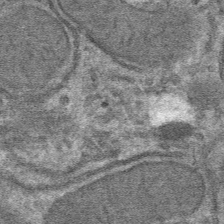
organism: Mouse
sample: Mouse hepatocytes